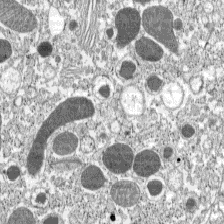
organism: C57BL Mouse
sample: Pancreatic islet